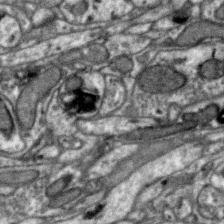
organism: Zebra finch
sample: Brain